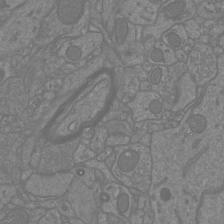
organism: Mouse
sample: Cortical neurons